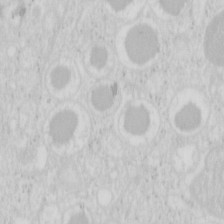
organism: Mouse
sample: Pancreas